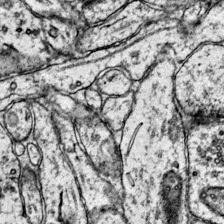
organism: Mouse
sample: Primary visual cortex